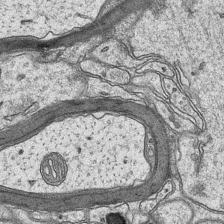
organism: Mouse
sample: CA1 Hippocampus